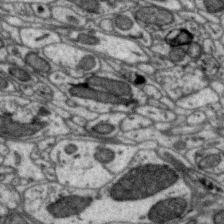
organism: Zebra finch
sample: Brain